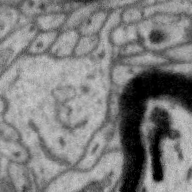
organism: Zebra finch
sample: Brain